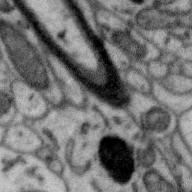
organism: Zebra finch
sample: Brain